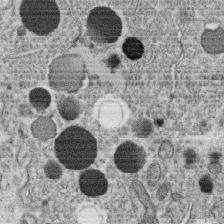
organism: C. elegans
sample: C. elegans oocyte; sperm cells